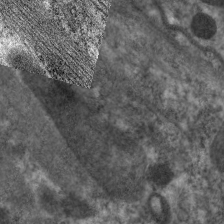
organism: C. elegans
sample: Pharynx